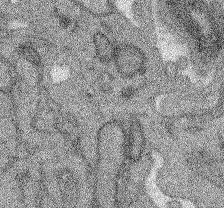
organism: Human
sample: HeLa cells